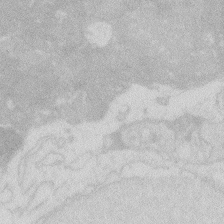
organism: Zebrafish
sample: Macrophage